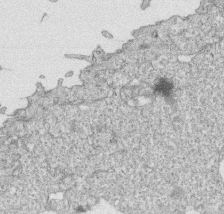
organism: Human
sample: HeLa cell HIV synapse